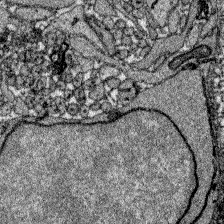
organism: Zebrafish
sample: Larval olfactory bulb